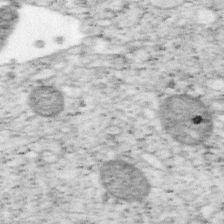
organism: Mouse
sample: OT-I killer T cells with ID8 ovarian cancer cells